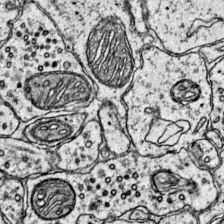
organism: Mouse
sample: Primary visual cortex